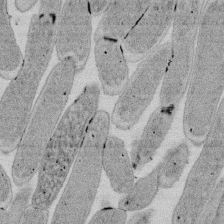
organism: E. coli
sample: Bacterial nucleoid